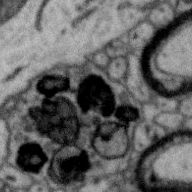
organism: Zebra finch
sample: Brain